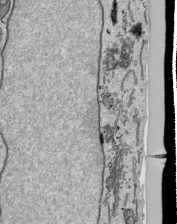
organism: Human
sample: Mitochondria in HCT116 cells